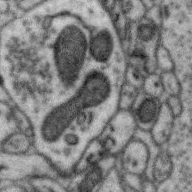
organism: Zebra finch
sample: Brain